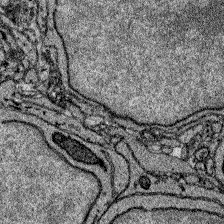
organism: Zebrafish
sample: Larval olfactory bulb